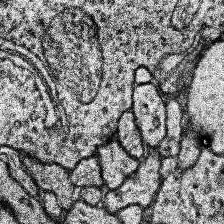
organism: Human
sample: Temporal Lobe